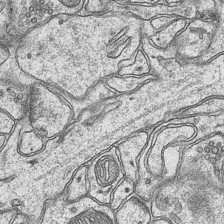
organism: Mouse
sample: CA1 Hippocampus